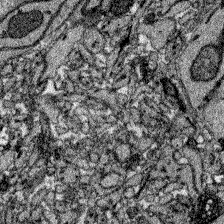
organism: Zebrafish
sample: Larval olfactory bulb